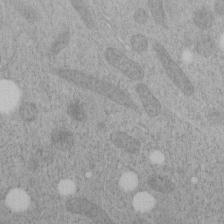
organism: C. elegans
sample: C. elegans embryo early stage